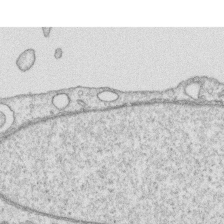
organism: Human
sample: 1205lu cells